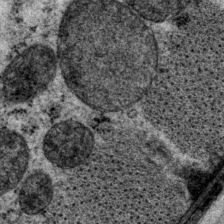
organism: P. pacificus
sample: Pharynx